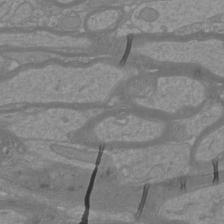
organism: Mouse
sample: Cortical neurons